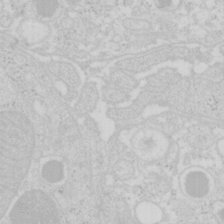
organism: Mouse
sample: Pancreas